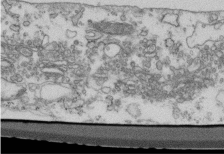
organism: Mouse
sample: Cilia; retinal pigment epithelium